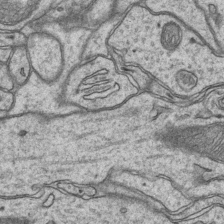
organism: Mouse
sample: CA1 Hippocampus